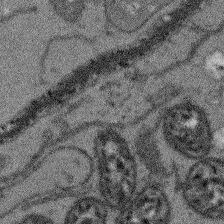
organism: Arabidopsis thaliana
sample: Root tip